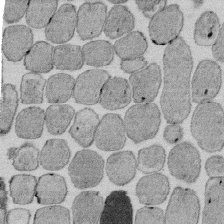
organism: E. coli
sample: Bacterial nucleoid